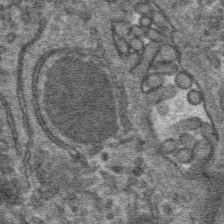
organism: Mouse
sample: Mouse hepatocytes